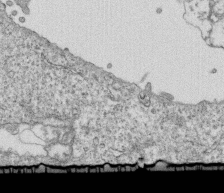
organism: Human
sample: HeLa cell HIV synapse